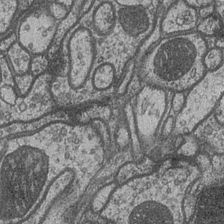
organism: Drosophila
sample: Optic medulla